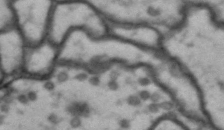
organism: Drosophila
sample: Brain